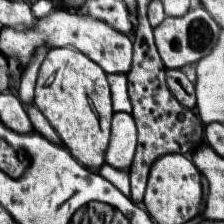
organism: Human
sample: Temporal Lobe